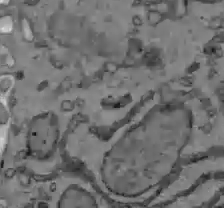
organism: C57BL Mouse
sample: Liver